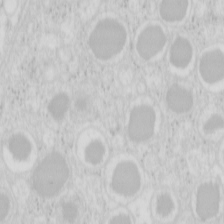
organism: Mouse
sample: Pancreas